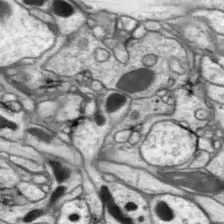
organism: Drosophila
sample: Optic lobe